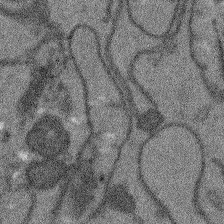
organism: Arabidopsis thaliana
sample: Root tip